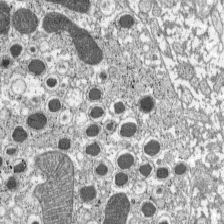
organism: C57BL Mouse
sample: Pancreatic islet